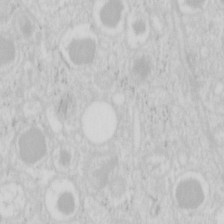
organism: Mouse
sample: Pancreas